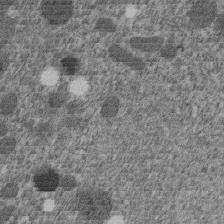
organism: C. elegans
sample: C. elegans embryo early stage